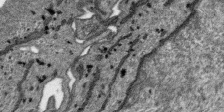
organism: Human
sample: Lung epithelial cells, uninfected (mock) control